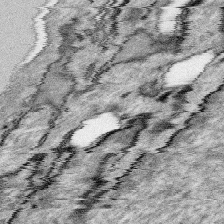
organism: Human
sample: HeLa cells